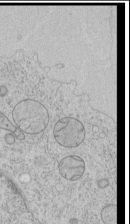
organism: Human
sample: Mitochondria in HCT116 cells